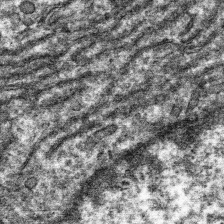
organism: Mouse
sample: Mouse hepatocytes